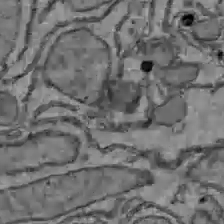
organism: C57BL Mouse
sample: Liver